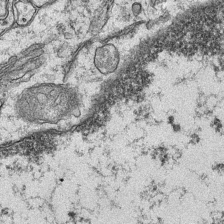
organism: Mouse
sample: CA1 Hippocampus